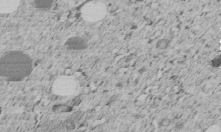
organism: C. elegans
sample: C. elegans embryo early stage